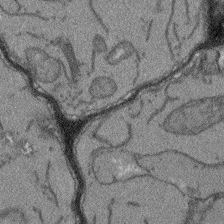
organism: Arabidopsis thaliana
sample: Root tip